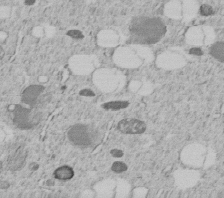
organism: C. elegans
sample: C. elegans embryo early stage